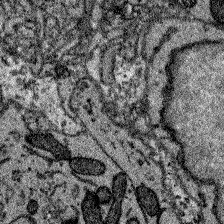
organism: Zebrafish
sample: Larval olfactory bulb